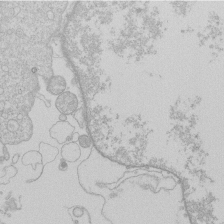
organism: Human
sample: Macrophage cells